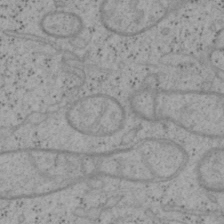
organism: Human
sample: HeLa cells